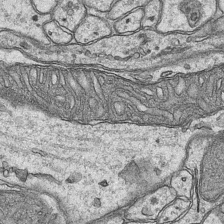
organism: Mouse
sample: CA1 Hippocampus